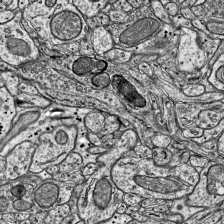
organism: Mouse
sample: Visual Cortex